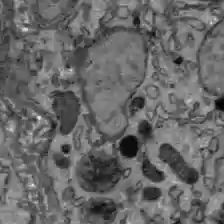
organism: C57BL Mouse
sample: Liver